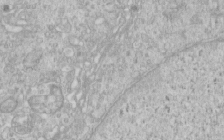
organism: Human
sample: Centriole in RPE cells